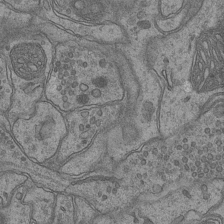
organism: Mouse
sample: CA1 Hippocampus